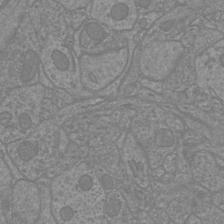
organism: Mouse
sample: Cortical neurons